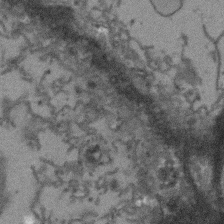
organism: Arabidopsis thaliana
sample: Root tip